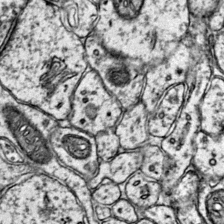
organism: Mouse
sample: Primary visual cortex